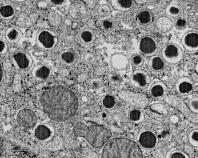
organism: C57BL Mouse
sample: Pancreatic islet